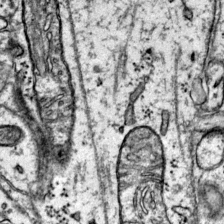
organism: Mouse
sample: Primary visual cortex